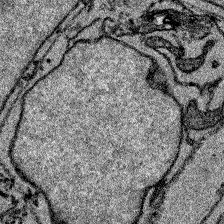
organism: Zebrafish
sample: Larval olfactory bulb